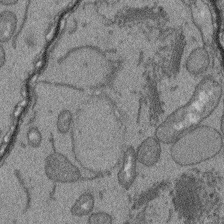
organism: Arabidopsis thaliana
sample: Root tip